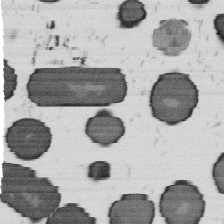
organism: B. subtilis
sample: Bacterial spore